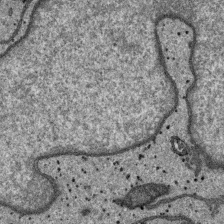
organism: Human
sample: Lung epithelial cells, uninfected (mock) control